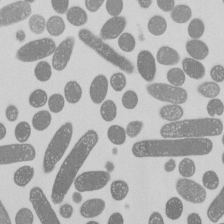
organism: E. coli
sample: Bacterial nucleoid